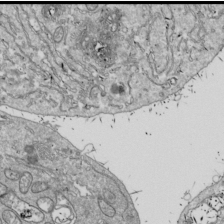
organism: Drosophila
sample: Cell division; meiosis; drosophila spermatocytes